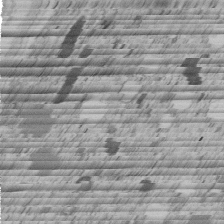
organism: C. elegans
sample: C. elegans embryo early stage